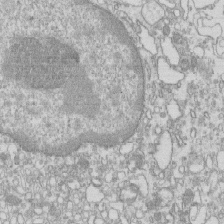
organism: Mouse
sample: Macrophages